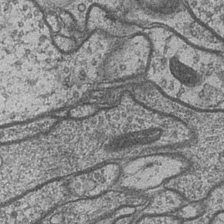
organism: Drosophila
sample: Optic medulla